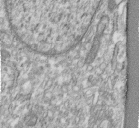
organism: Human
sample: Centriole in fibroblast cells